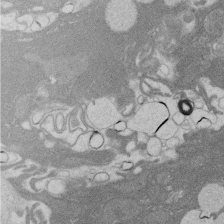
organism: Rat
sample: Salivary granule